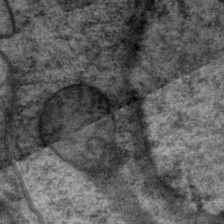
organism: P. pacificus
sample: Pharynx